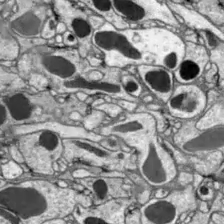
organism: Drosophila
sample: Optic lobe